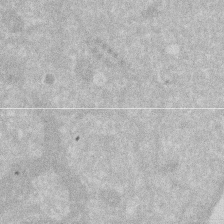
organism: Human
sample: HIV infected U937 cells